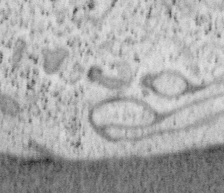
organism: Mouse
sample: OT-I killer T cells with ID8 ovarian cancer cells